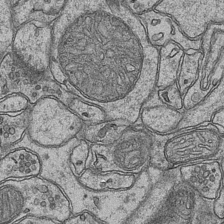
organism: Mouse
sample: CA1 Hippocampus